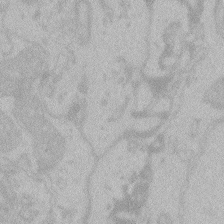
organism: Zebrafish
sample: Macrophage infected with Toxoplasma gondii